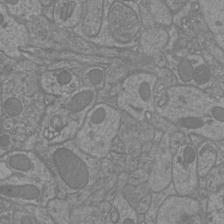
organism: Mouse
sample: Cortical neurons